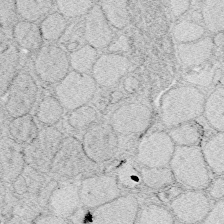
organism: Zebrafish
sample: Whole-Brain